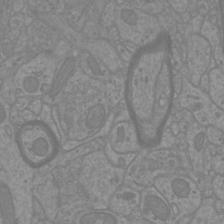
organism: Mouse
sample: Cortical neurons